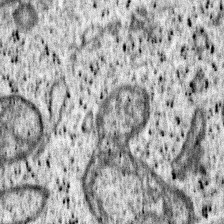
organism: Human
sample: HeLa cells